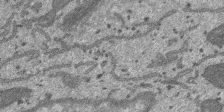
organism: Human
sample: Lung epithelial cells infected with SARS-CoV-2